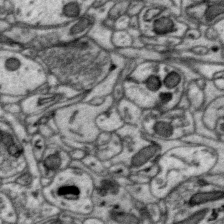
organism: Zebra finch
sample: Brain